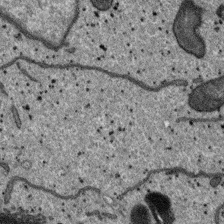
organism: Human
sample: Lung epithelial cells, uninfected (mock) control